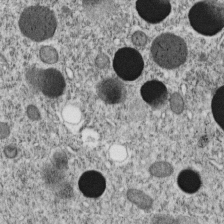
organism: C. elegans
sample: C. elegans embryo early stage